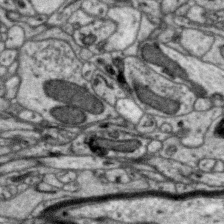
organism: Zebra finch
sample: Brain